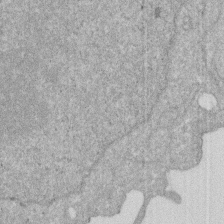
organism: Human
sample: HIV infected U937 cells